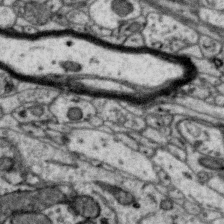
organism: Zebra finch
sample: Brain